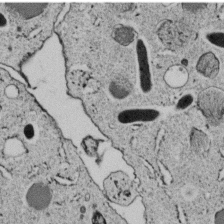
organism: C. elegans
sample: C. elegans embryo early stage